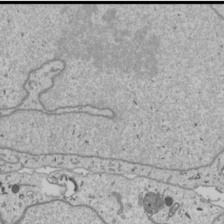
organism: Human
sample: Mitochondria in U2OS cells